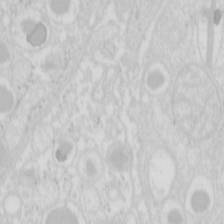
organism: Mouse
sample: Pancreas